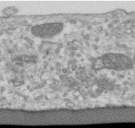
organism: Human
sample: Centriole in RPE cells